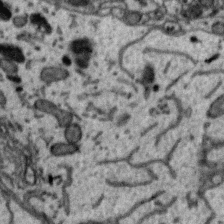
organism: Zebra finch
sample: Brain